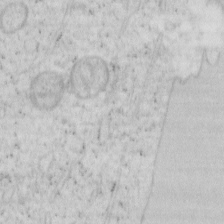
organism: Human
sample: HeLa cells